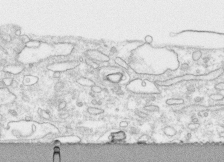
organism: Human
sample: CRL-1474